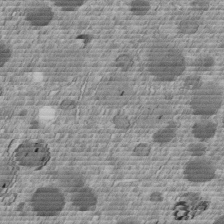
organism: C. elegans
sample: C. elegans embryo early stage